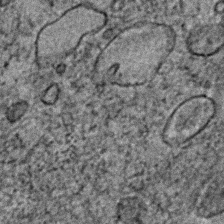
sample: Trachea